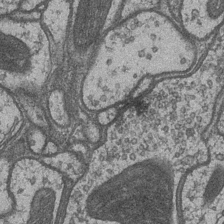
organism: Drosophila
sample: Optic medulla